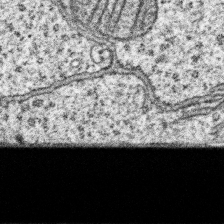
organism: Human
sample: HeLa cells